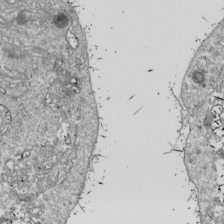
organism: Drosophila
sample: Cell division; meiosis; drosophila spermatocytes